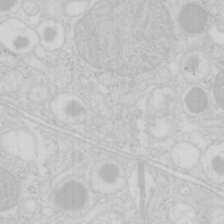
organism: Mouse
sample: Pancreas